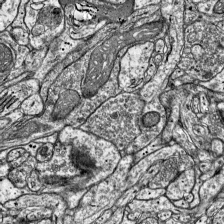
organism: Mouse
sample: Visual Cortex